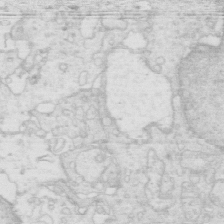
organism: Mouse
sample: Multiciliated cells